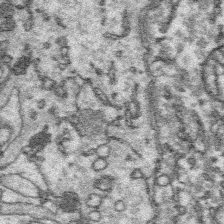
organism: Platynereis dumerilii